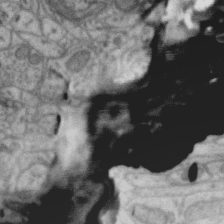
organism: Zebra finch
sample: Brain